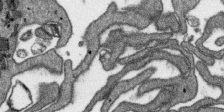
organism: Human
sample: Lung epithelial cells, uninfected (mock) control